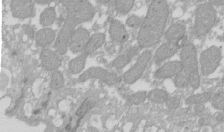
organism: Xenopus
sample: Cilia; centrioles in frog embryo cells